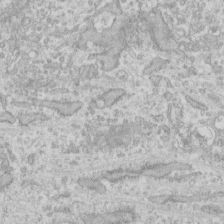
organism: Human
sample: Fibroblast cells